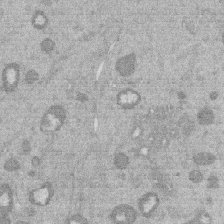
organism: Mouse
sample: Dividing mouse embryo 1 cell stage